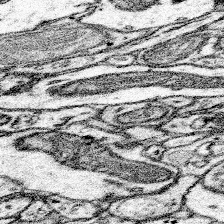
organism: Mouse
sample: Somatosensory cortex neuropil